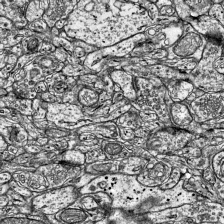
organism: Mouse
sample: Visual Cortex